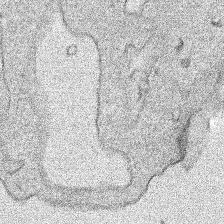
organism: Human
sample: Mitochondria in HCT116 cells